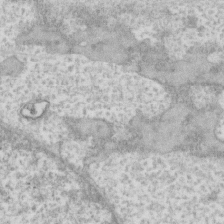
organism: Human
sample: Fibroblast cells